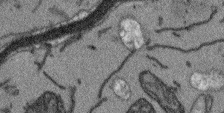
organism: Arabidopsis thaliana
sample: Root tip